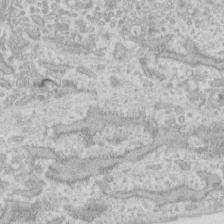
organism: Human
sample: Fibroblast cells